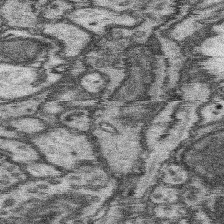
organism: Mouse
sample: Somatosensory cortex neuropil